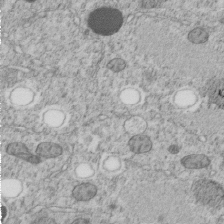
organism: C. elegans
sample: C. elegans embryo early stage